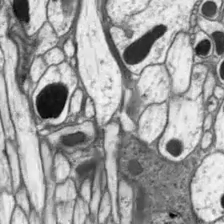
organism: Drosophila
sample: Optic lobe